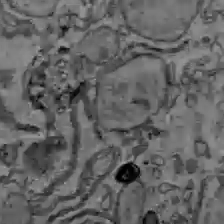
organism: C57BL Mouse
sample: Liver